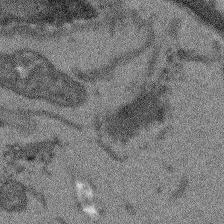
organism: Arabidopsis thaliana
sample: Root tip